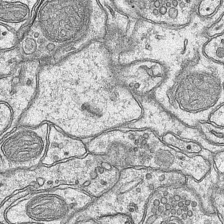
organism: Mouse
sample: CA1 Hippocampus